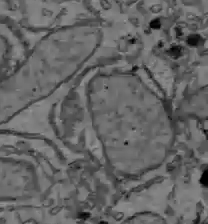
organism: C57BL Mouse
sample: Liver